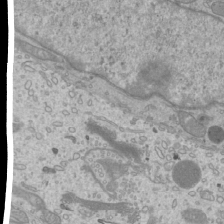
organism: Mouse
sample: Cilia; mouse epididymis